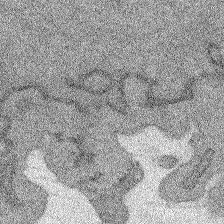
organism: Human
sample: HeLa cells